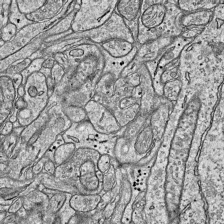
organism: Mouse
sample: Visual Cortex